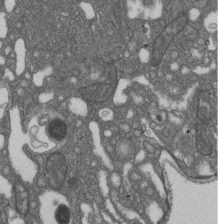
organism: Drosophila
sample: Nephrocyte